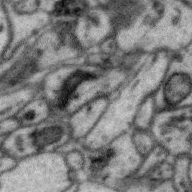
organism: Zebra finch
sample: Brain